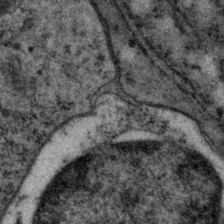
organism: P. pacificus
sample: Pharynx